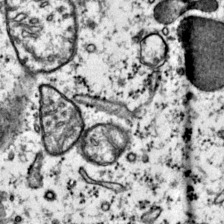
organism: Mouse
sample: Primary visual cortex